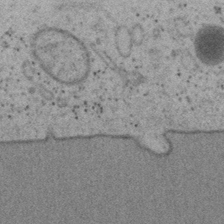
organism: Human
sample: HeLa cells